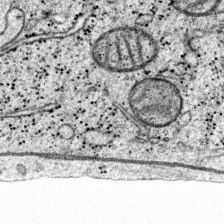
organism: Human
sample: HeLa cells